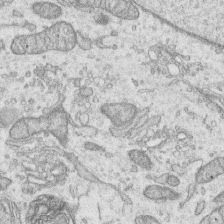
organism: Human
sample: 1205lu cells